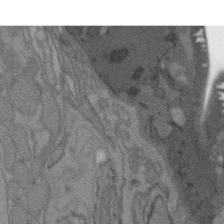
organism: C. elegans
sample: AFD neurons C. elegans